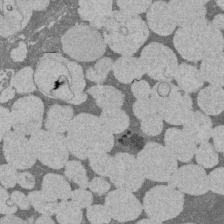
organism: Rat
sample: Salivary granule